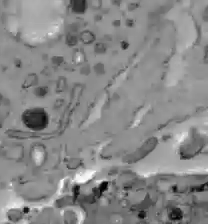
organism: C57BL Mouse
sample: Liver